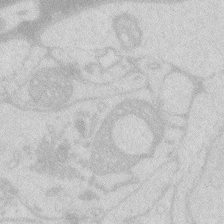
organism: Zebrafish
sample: Macrophage